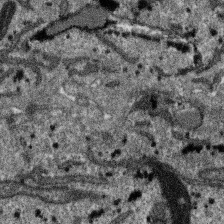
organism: Human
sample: Lung epithelial cells infected with SARS-CoV-2